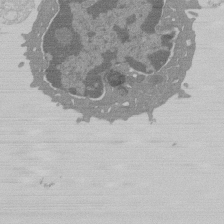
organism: Mouse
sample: Activated Pmel transgenic CD8+ T Cells